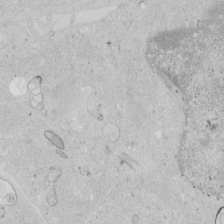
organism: Human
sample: Mitochondria in HCT116 cells